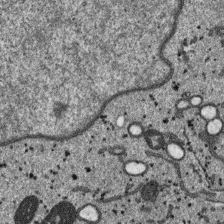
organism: Human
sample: Lung epithelial cells infected with SARS-CoV-2